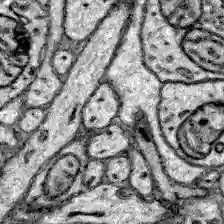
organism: Zebrafish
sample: Brain